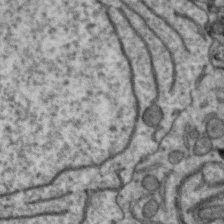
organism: Zebra finch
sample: Brain